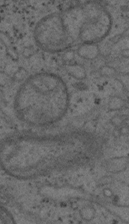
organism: Human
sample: HeLa cells